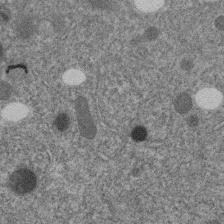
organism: C. elegans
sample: C. elegans embryo early stage